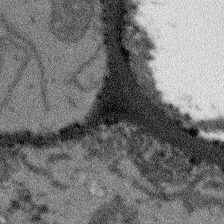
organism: Arabidopsis thaliana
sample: Root tip